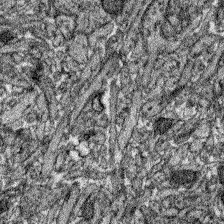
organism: Zebrafish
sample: Larval olfactory bulb